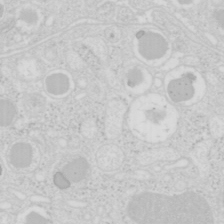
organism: Mouse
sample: Pancreas